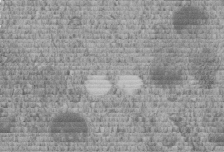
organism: C. elegans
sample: C. elegans embryo early stage